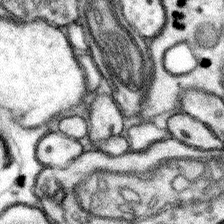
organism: Mouse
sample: Somatosensory cortex neuropil